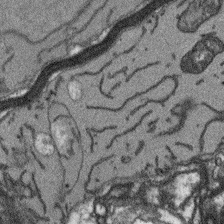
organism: Arabidopsis thaliana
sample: Root tip